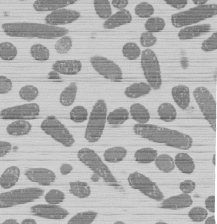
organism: E. coli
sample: Bacterial nucleoid